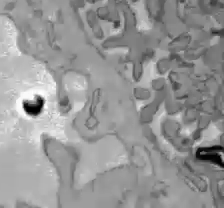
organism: C57BL Mouse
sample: Liver